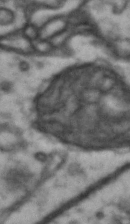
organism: Drosophila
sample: Brain